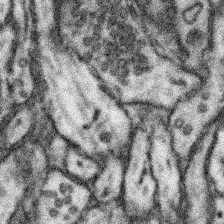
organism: Mouse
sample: Somatosensory cortex neuropil